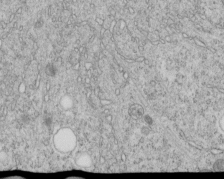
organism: C. elegans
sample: C. elegans embryo early stage